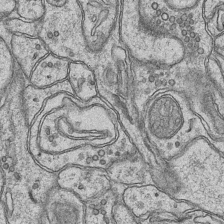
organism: Mouse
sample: CA1 Hippocampus